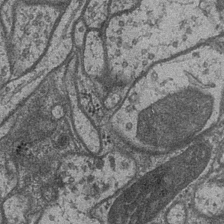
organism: Drosophila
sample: Optic medulla